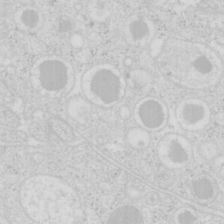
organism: Mouse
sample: Pancreas